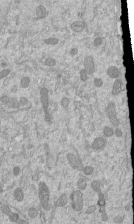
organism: Mouse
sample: ED-1 cell nuclei; centrioles